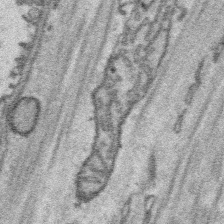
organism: Platynereis dumerilii